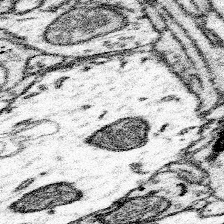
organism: Mouse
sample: Somatosensory cortex neuropil